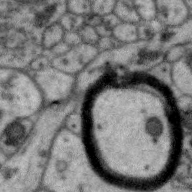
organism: Zebra finch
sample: Brain